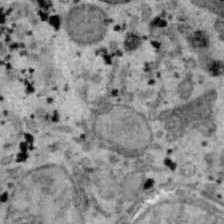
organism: Mouse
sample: Liver from an obese (ob/ob) mouse